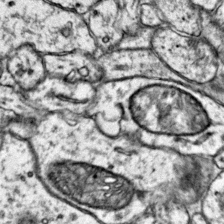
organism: Mouse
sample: Primary visual cortex